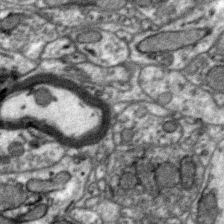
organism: Zebra finch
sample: Brain